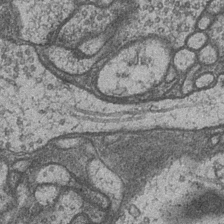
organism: Drosophila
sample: Optic medulla